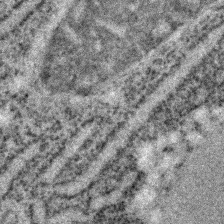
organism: C. elegans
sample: C. elegans embryo